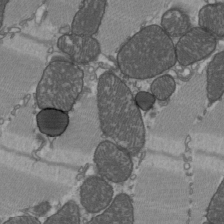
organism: C57BL Mouse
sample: Heart